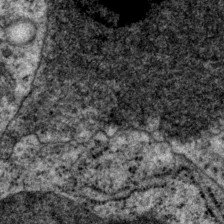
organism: P. pacificus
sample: Pharynx